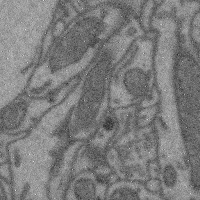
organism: Mouse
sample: Cerebral cortex